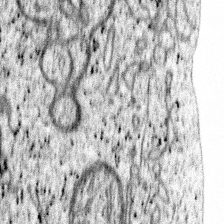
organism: Human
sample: HeLa cells